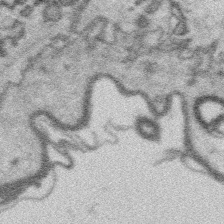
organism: Platynereis dumerilii